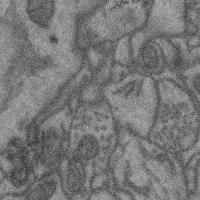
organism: Mouse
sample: Cerebral cortex